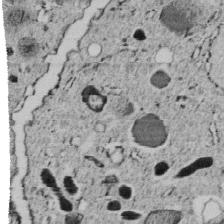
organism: C. elegans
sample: C. elegans embryo early stage